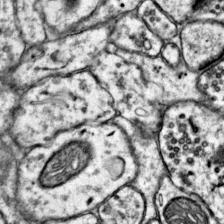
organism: Mouse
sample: Primary visual cortex